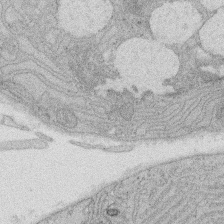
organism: Rat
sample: Salivary granule